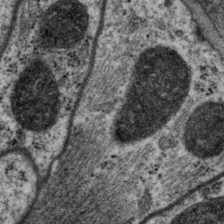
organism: P. pacificus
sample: Pharynx